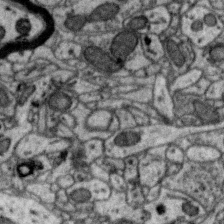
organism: Zebra finch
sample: Brain